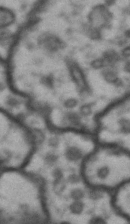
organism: Drosophila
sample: Brain